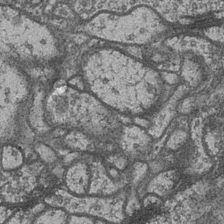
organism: Drosophila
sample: Optic medulla